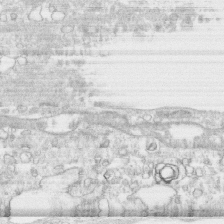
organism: Human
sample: CRL-1474